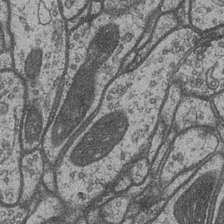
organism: Drosophila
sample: Optic medulla